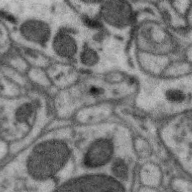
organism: Zebra finch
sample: Brain